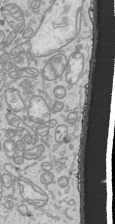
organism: Human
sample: Mitochondria in HCT116 cells